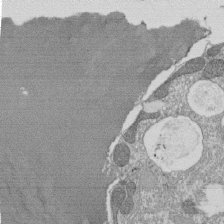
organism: Tetrahymena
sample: Cilia in tetrahymena